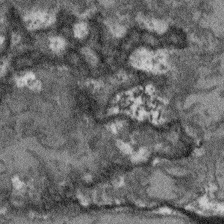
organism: Arabidopsis thaliana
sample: Root tip